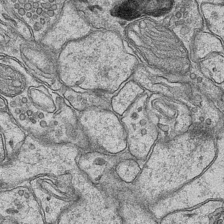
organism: Mouse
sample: CA1 Hippocampus